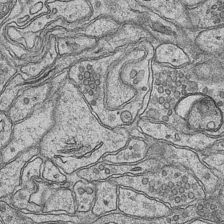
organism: Mouse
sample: CA1 Hippocampus